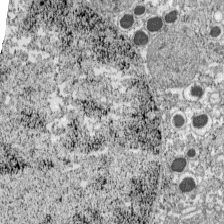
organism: C57BL Mouse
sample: Pancreatic islet